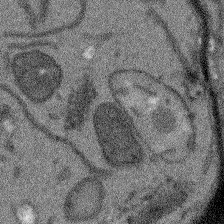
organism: Arabidopsis thaliana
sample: Root tip